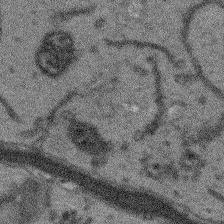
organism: Arabidopsis thaliana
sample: Root tip